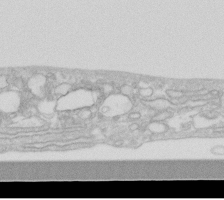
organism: Human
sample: Fibroblast cells